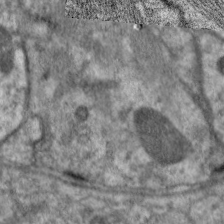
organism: C. elegans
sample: Pharynx